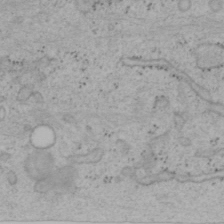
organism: Human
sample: HeLa cells